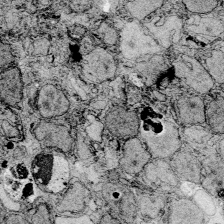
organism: Zebrafish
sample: Whole-Brain